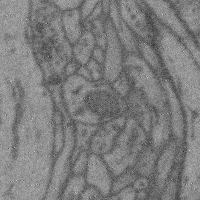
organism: Mouse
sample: Cerebral cortex